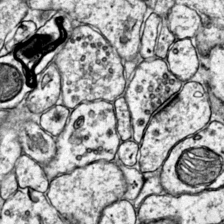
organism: Mouse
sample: Primary visual cortex